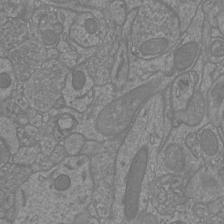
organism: Mouse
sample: Cortical neurons